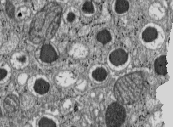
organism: C57BL Mouse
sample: Pancreatic islet